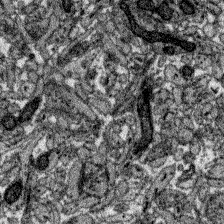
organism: Zebrafish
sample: Larval olfactory bulb